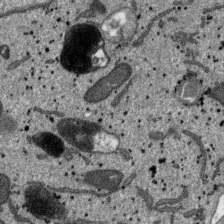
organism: Human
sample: Lung epithelial cells, uninfected (mock) control